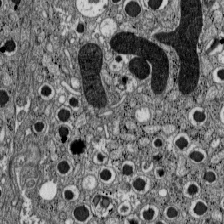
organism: C57BL Mouse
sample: Pancreatic islet